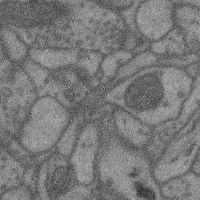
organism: Mouse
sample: Cerebral cortex